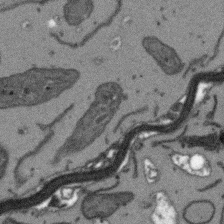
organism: Arabidopsis thaliana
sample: Root tip